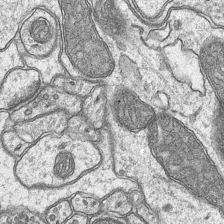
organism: Mouse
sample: CA1 Hippocampus